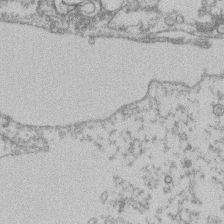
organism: Mouse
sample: T cell stromal cell synapse